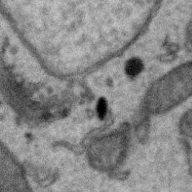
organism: Zebra finch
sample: Brain